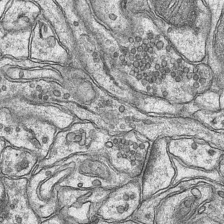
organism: Mouse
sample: CA1 Hippocampus